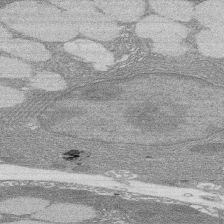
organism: Rat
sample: Salivary granule